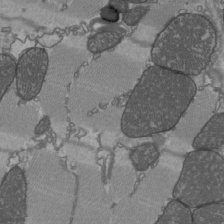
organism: C57BL Mouse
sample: Heart